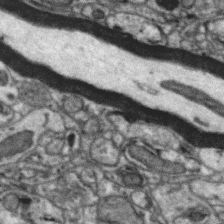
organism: Zebra finch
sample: Brain